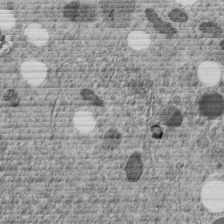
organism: C. elegans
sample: C. elegans embryo early stage